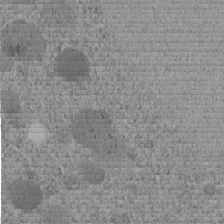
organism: C. elegans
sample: C. elegans embryo early stage